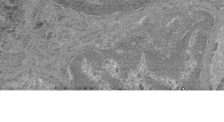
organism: Mouse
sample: Glomerulus